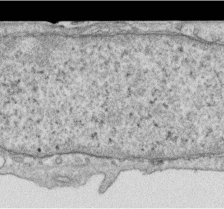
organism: Human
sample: Centriole in RPE cells